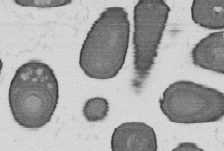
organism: B. subtilis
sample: Bacterial spore